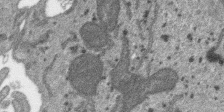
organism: Human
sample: Lung epithelial cells infected with SARS-CoV-2